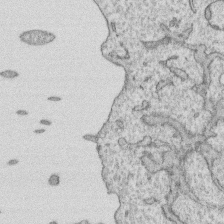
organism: Human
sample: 1205lu cells